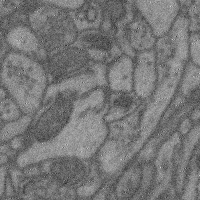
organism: Mouse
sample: Cerebral cortex